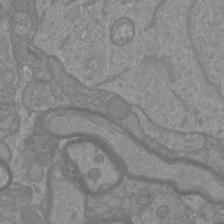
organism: Mouse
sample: Cortical neurons